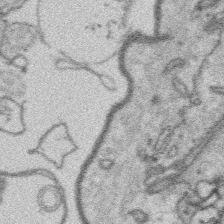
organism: Platynereis dumerilii